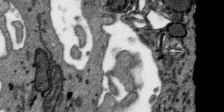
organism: Human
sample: Lung epithelial cells, uninfected (mock) control